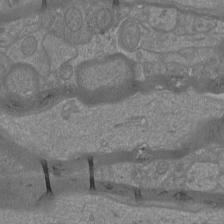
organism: Mouse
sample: Cortical neurons